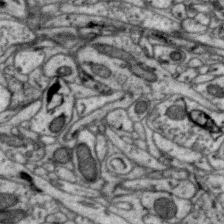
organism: Zebra finch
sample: Brain